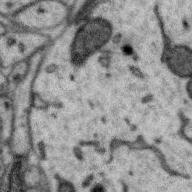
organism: Zebra finch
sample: Brain